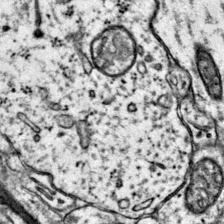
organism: Mouse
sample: Primary visual cortex